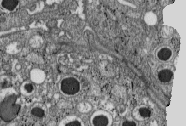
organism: C57BL Mouse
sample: Pancreatic islet